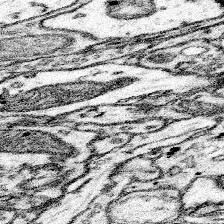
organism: Mouse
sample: Somatosensory cortex neuropil